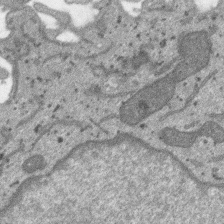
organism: Human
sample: Lung epithelial cells infected with SARS-CoV-2